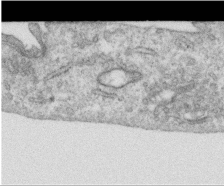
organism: Human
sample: Centriole in RPE cells